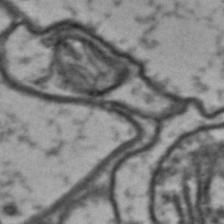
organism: Drosophila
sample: Brain